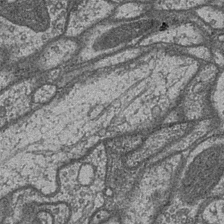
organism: Drosophila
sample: Optic medulla